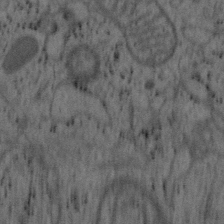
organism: Human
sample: HeLa cells